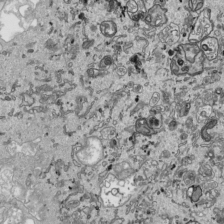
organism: Human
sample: Mitochondria in HCT116 cells